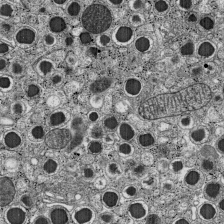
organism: C57BL Mouse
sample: Pancreatic islet